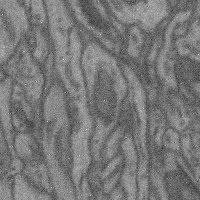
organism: Mouse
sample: Cerebral cortex